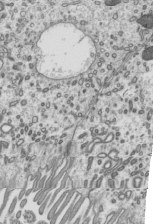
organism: Mouse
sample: Mouse epididymis efferent ductule cilia